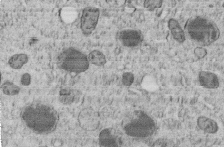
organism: C. elegans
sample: C. elegans embryo early stage